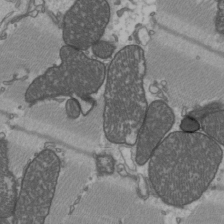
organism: C57BL Mouse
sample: Heart